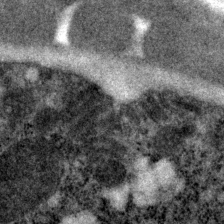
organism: P. pacificus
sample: Pharynx